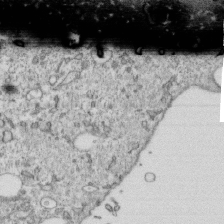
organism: Mouse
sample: Activated OT-1 CD8+ T cells